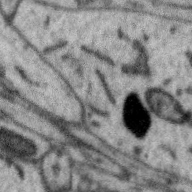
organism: Zebra finch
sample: Brain